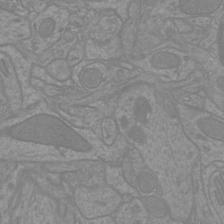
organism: Mouse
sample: Cortical neurons